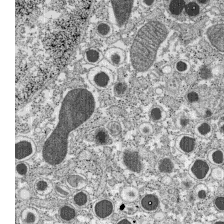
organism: C57BL Mouse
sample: Pancreatic islet